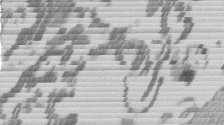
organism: Mouse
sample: Dividing mouse embryo 1 cell stage